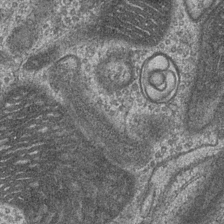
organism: Drosophila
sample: Optic medulla